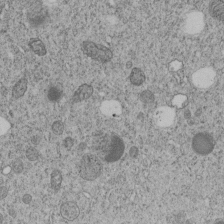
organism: C. elegans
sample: C. elegans embryo early stage